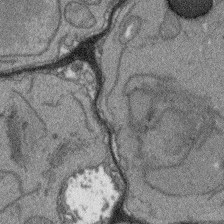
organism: Arabidopsis thaliana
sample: Root tip